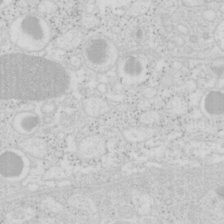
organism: Mouse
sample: Pancreas